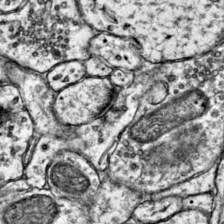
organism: Mouse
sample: Primary visual cortex